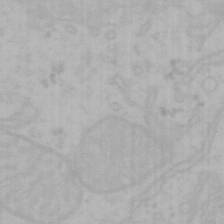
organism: Mouse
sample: Choroid plexus